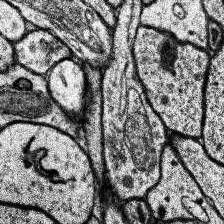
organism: Human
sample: Temporal Lobe